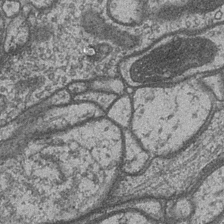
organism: Drosophila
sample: Optic medulla